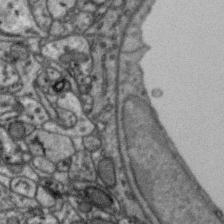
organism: Zebra finch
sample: Brain